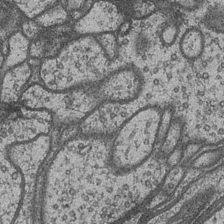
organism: Drosophila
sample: Optic medulla